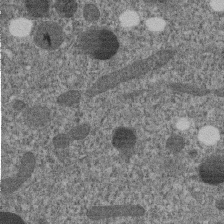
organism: C. elegans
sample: C. elegans embryo early stage